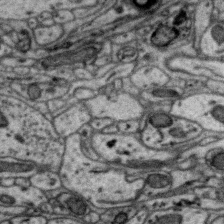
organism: Zebra finch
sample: Brain